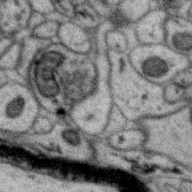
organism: Zebra finch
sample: Brain